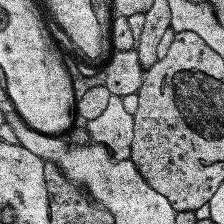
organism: Human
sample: Temporal Lobe